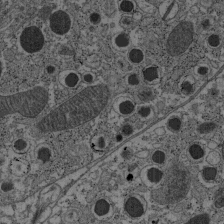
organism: C57BL Mouse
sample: Pancreatic islet